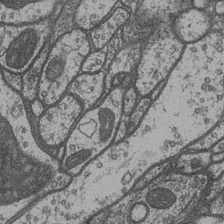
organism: Drosophila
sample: Optic medulla